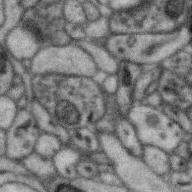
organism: Zebra finch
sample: Brain